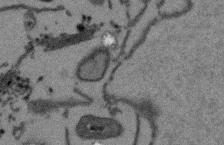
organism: Arabidopsis thaliana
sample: Root tip